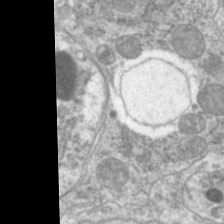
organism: C. elegans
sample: Pharynx